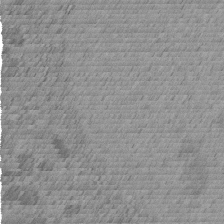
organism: C. elegans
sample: C. elegans embryo early stage